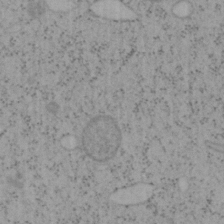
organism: Mouse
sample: OT-I killer T cells with ID8 ovarian cancer cells